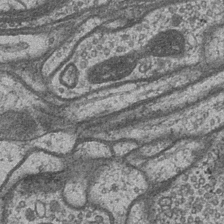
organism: Drosophila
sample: Optic medulla